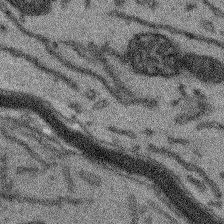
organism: Arabidopsis thaliana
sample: Root tip